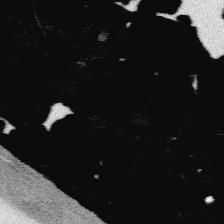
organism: Platynereis dumerilii